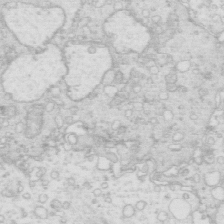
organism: Mouse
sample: Multiciliated cells